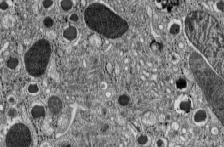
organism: C57BL Mouse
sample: Pancreatic islet